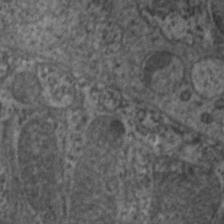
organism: C. elegans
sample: Pharynx